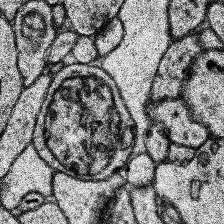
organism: Human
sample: Temporal Lobe